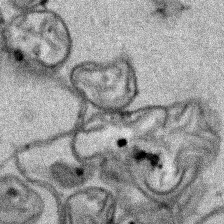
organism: Human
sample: Mitochondria in HCT116 cells